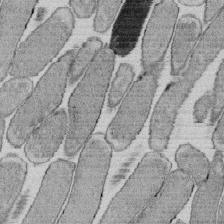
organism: E. coli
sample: Bacterial nucleoid